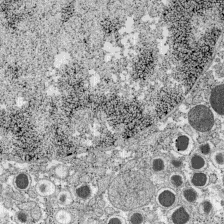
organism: C57BL Mouse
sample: Pancreatic islet